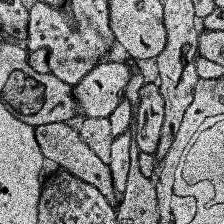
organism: Human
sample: Temporal Lobe